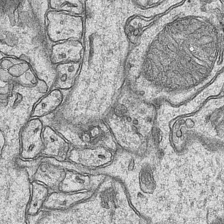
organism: Mouse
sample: CA1 Hippocampus